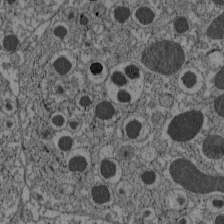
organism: C57BL Mouse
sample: Pancreatic islet